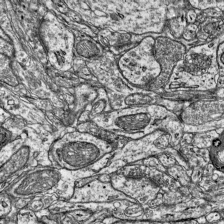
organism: Mouse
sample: Visual Cortex